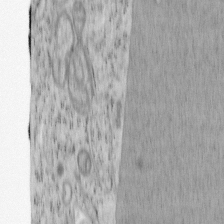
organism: Human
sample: HeLa cells